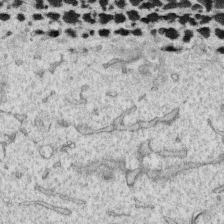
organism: Human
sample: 1205lu cells